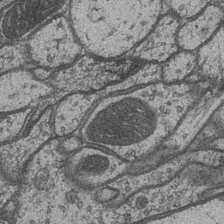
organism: Drosophila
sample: Optic medulla